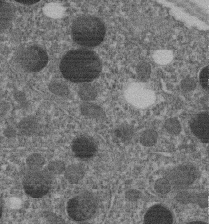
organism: C. elegans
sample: C. elegans embryo early stage